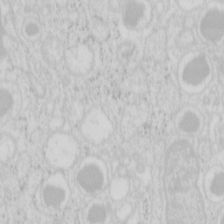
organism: Mouse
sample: Pancreas